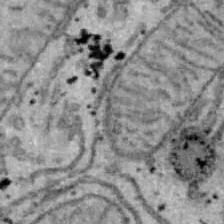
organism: Mouse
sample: Liver from an obese (ob/ob) mouse